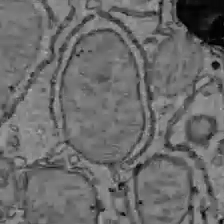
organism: C57BL Mouse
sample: Liver